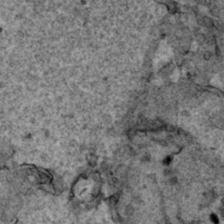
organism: Human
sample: Mitochondria in HCT116 cells